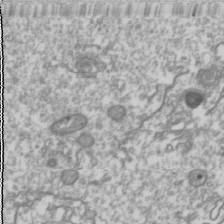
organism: Drosophila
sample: Cell division; meiosis; drosophila spermatocytes